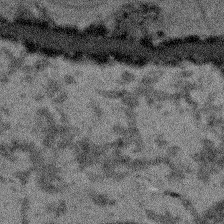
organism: Arabidopsis thaliana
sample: Root tip